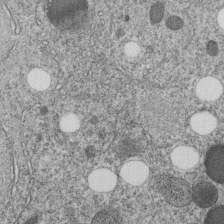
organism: C. elegans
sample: C. elegans embryo early stage